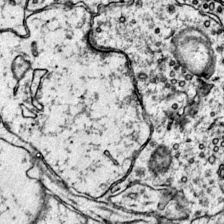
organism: Mouse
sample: Primary visual cortex